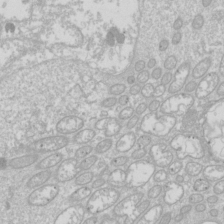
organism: Drosophila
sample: Cell division; meiosis; drosophila spermatocytes